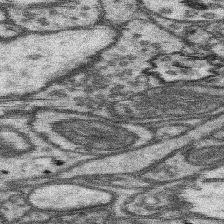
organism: Mouse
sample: Somatosensory cortex neuropil